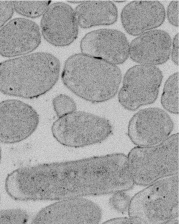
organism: E. coli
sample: Bacterial nucleoid